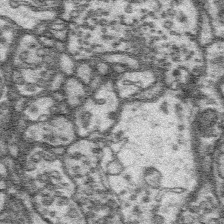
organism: Platynereis dumerilii